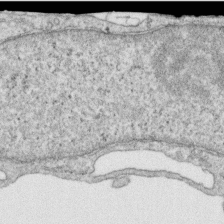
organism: Human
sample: Centriole in RPE cells